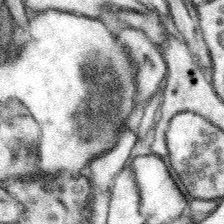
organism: Mouse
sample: Somatosensory cortex neuropil